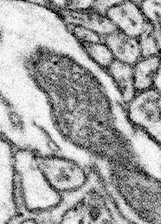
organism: Mouse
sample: Somatosensory cortex neuropil